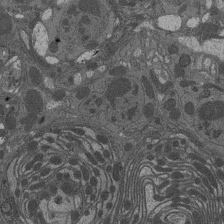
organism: Drosophila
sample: Antenna